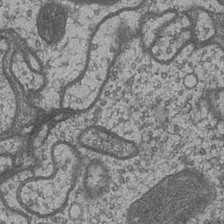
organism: Drosophila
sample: Optic medulla